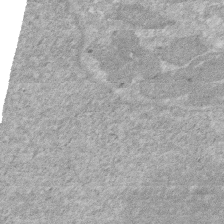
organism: Human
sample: HIV infected U937 cells